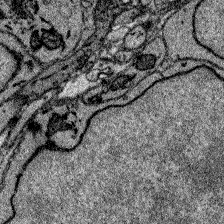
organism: Zebrafish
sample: Larval olfactory bulb